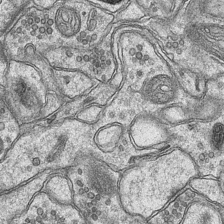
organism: Mouse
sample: CA1 Hippocampus